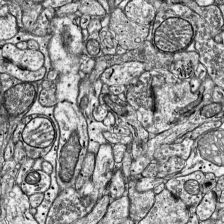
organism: Mouse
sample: Visual Cortex